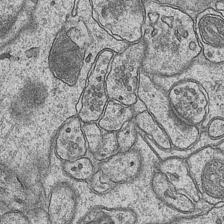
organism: Mouse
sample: CA1 Hippocampus